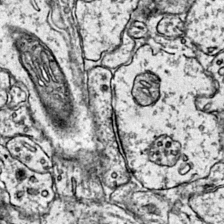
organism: Mouse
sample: Primary visual cortex